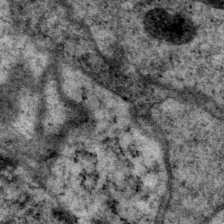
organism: P. pacificus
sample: Pharynx